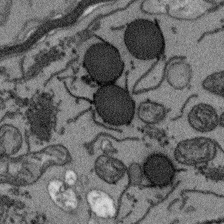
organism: Arabidopsis thaliana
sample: Root tip